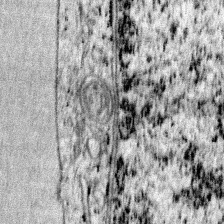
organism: Human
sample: HeLa cells